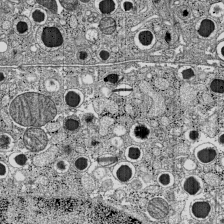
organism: C57BL Mouse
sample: Pancreatic islet